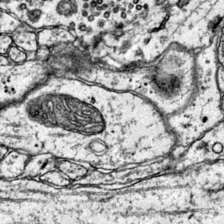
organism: Mouse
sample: Primary visual cortex